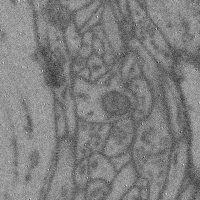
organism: Mouse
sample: Cerebral cortex